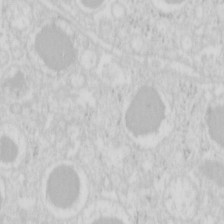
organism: Mouse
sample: Pancreas